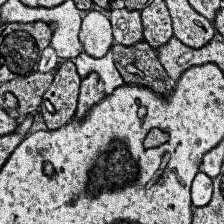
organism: Human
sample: Temporal Lobe